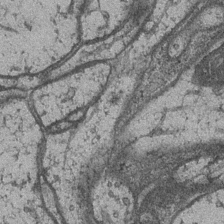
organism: Drosophila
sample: Optic medulla